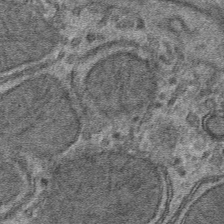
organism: Mouse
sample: Mouse hepatocytes